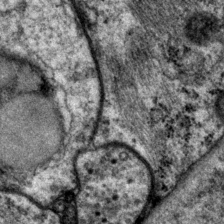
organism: P. pacificus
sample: Pharynx